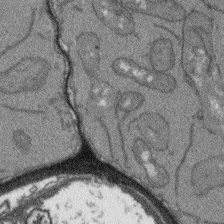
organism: Arabidopsis thaliana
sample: Root tip